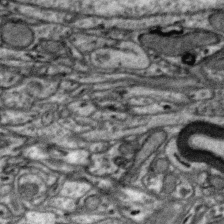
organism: Zebra finch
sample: Brain